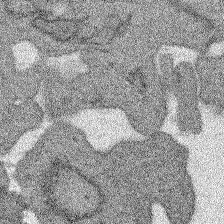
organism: Human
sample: HeLa cells